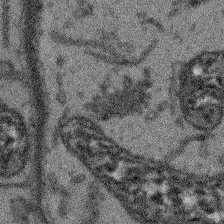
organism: Arabidopsis thaliana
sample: Root tip